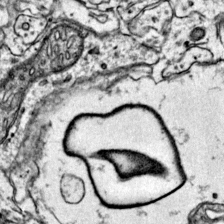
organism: Mouse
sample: Primary visual cortex